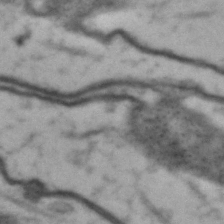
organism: Drosophila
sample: Brain